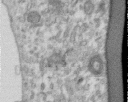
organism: Human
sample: Centriole in RPE cells